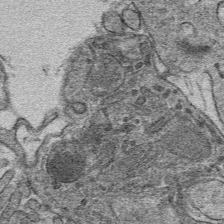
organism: Mouse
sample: Mouse hepatocytes